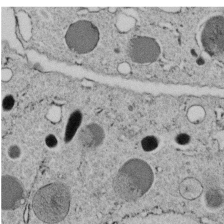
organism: C. elegans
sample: C. elegans embryo early stage